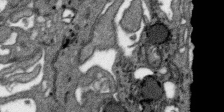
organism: Human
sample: Lung epithelial cells, uninfected (mock) control